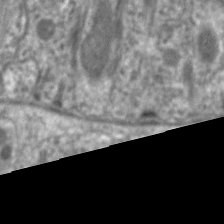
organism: C. elegans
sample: Pharynx